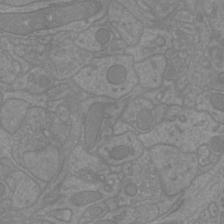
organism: Mouse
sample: Cortical neurons